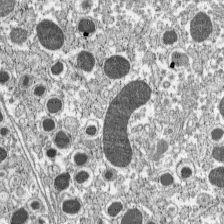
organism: C57BL Mouse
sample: Pancreatic islet